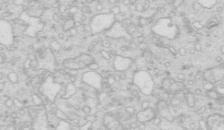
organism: Mouse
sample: Multiciliated cells